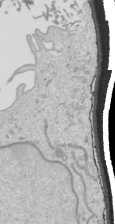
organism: Human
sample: Mitochondria in HCT116 cells